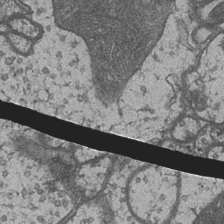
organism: Drosophila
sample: Optic medulla